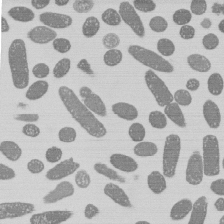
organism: E. coli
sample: Bacterial nucleoid